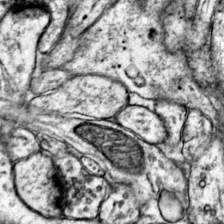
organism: Mouse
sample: Primary visual cortex